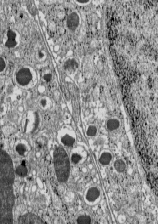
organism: C57BL Mouse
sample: Pancreatic islet